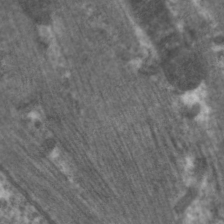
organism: C. elegans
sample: Pharynx